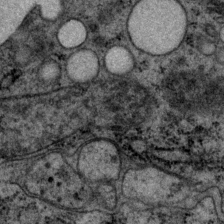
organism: P. pacificus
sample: Pharynx